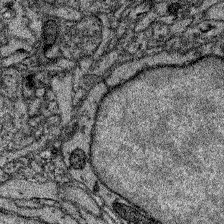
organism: Zebrafish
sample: Larval olfactory bulb